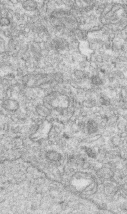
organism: Human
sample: HeLa cell HIV synapse